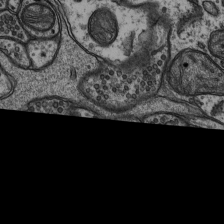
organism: Rat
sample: Hippocampus